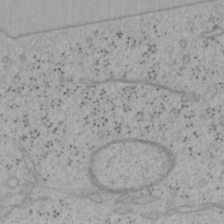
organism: Human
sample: HeLa cells